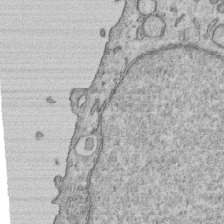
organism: Human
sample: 1205lu cells